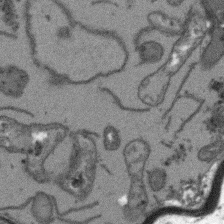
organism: Arabidopsis thaliana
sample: Root tip